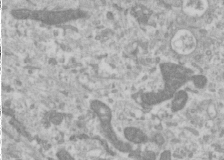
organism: Human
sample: Cilia; basal body in RPE cells